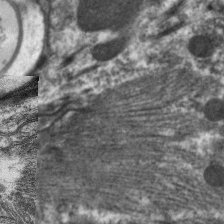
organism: C. elegans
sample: Pharynx